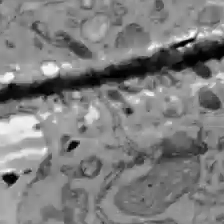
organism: C57BL Mouse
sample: Liver